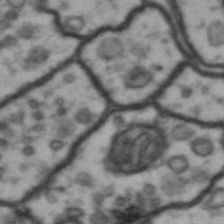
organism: Drosophila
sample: Brain